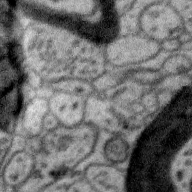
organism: Zebra finch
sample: Brain